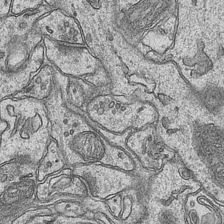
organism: Mouse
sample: CA1 Hippocampus